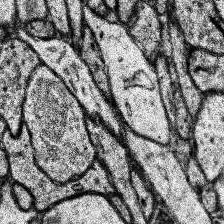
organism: Human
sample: Temporal Lobe